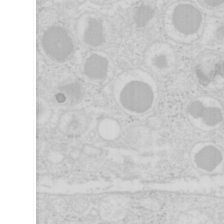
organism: Mouse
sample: Pancreas